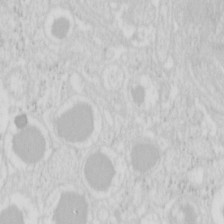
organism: Mouse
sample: Pancreas